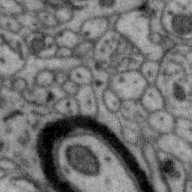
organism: Zebra finch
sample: Brain